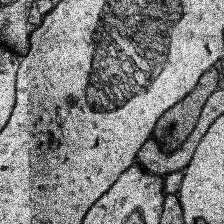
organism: Human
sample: Temporal Lobe